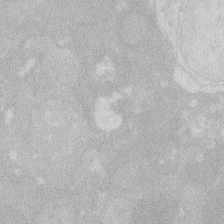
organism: Zebrafish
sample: Macrophage